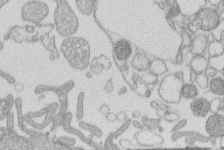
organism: Human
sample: Macrophage cells